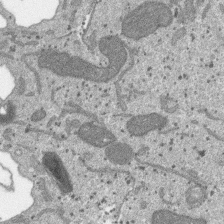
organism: Human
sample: Lung epithelial cells infected with SARS-CoV-2